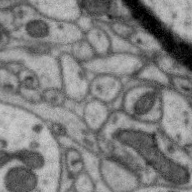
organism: Zebra finch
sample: Brain